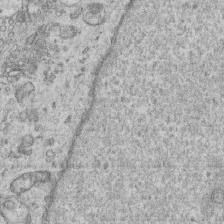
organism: Human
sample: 1205lu cells